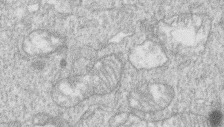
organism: Human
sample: HeLa cell HIV synapse